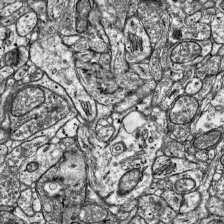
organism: Mouse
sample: Visual Cortex